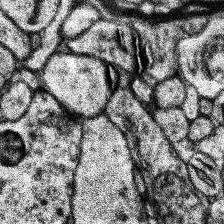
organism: Human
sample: Temporal Lobe